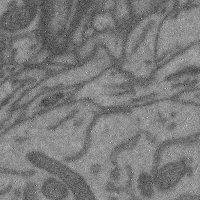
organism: Mouse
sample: Cerebral cortex